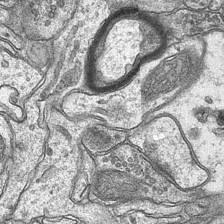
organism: Mouse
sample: CA1 Hippocampus